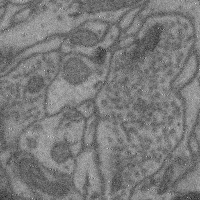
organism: Mouse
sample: Cerebral cortex